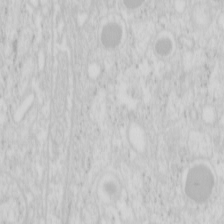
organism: Mouse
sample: Pancreas